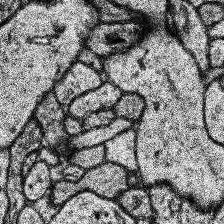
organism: Human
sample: Temporal Lobe